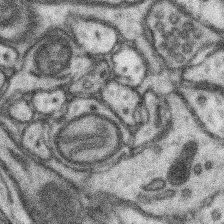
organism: Mouse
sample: Somatosensory cortex neuropil